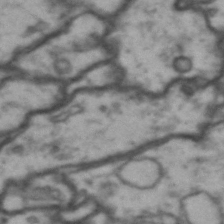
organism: Drosophila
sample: Brain